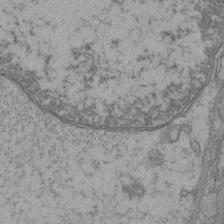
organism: Mouse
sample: CA1 Hippocampus